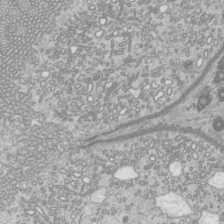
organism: Mouse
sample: Cilia; mouse epididymis